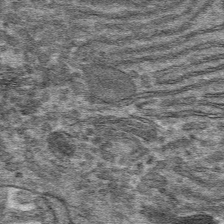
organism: Mouse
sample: Mouse hepatocytes